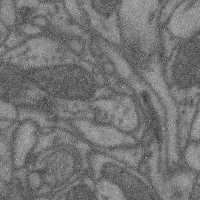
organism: Mouse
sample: Cerebral cortex